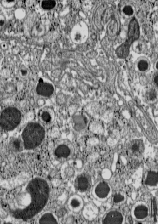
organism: C57BL Mouse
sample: Pancreatic islet